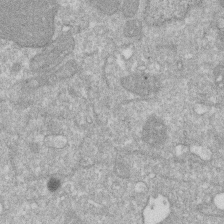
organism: Human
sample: HIV infected U937 cells